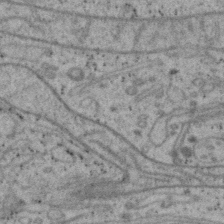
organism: Human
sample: HeLa cells